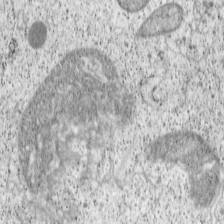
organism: African green monkey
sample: COS-7 cells